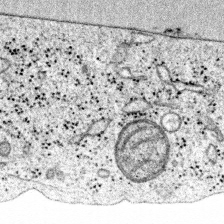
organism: Human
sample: HeLa cells